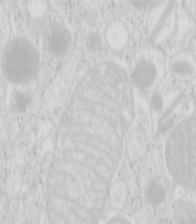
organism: Mouse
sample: Pancreas